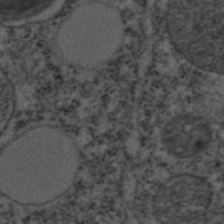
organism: C. elegans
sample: C. elegans embryo